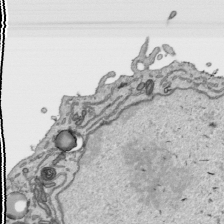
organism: Human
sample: Mitochondria in HCT116 cells